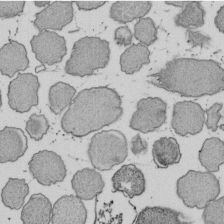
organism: E. coli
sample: Bacterial nucleoid